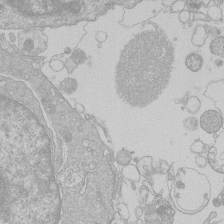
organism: Human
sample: Macrophage cells